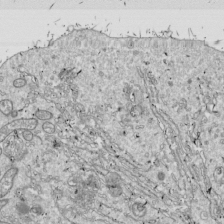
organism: Drosophila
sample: Cell division; meiosis; drosophila spermatocytes